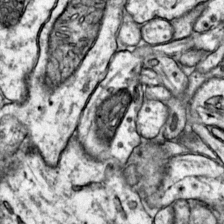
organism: Mouse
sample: Primary visual cortex